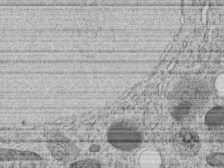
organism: C. elegans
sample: C. elegans embryo early stage